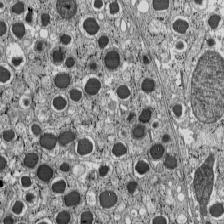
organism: C57BL Mouse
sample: Pancreatic islet